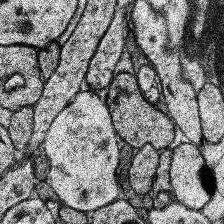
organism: Human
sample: Temporal Lobe